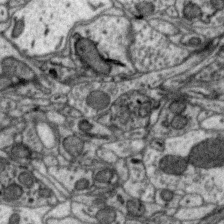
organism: Zebra finch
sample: Brain